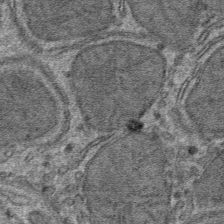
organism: Mouse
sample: Mouse hepatocytes